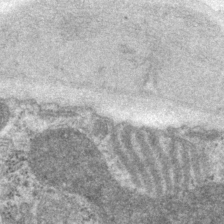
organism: P. pacificus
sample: Pharynx